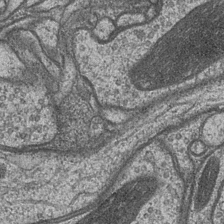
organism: Drosophila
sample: Optic medulla